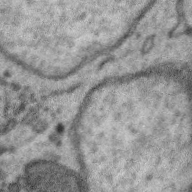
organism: Zebra finch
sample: Brain